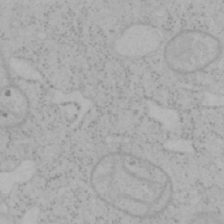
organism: Mouse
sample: OT-I killer T cells with ID8 ovarian cancer cells